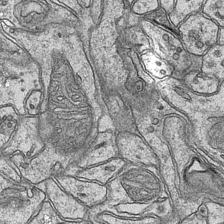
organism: Mouse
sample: CA1 Hippocampus